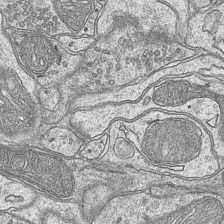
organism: Mouse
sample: CA1 Hippocampus